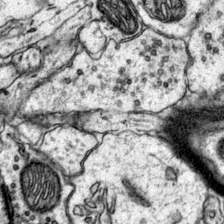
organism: Mouse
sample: Primary visual cortex